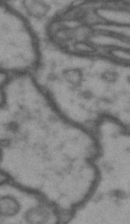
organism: Drosophila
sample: Brain